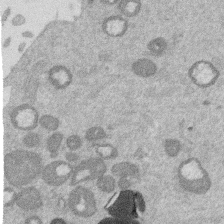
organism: Mouse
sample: Dividing mouse embryo 1 cell stage